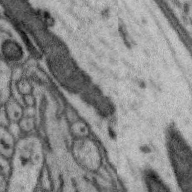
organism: Zebra finch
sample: Brain